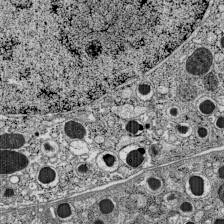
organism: C57BL Mouse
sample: Pancreatic islet